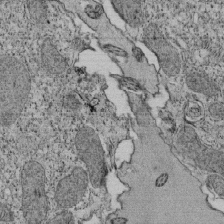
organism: Tetrahymena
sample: Cilia in tetrahymena